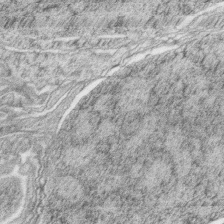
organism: Zebrafish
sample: synaptic ribbons in rod cells and cone cells